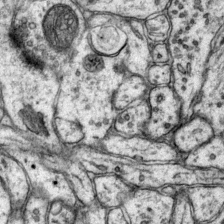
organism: Mouse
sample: Primary visual cortex